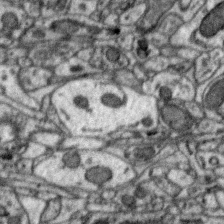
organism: Zebra finch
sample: Brain